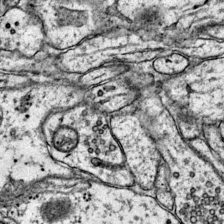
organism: Mouse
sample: Primary visual cortex